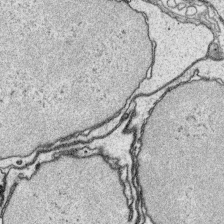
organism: Platynereis dumerilii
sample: Parapodia